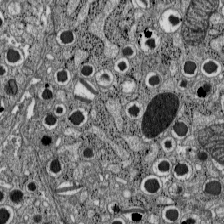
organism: C57BL Mouse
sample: Pancreatic islet